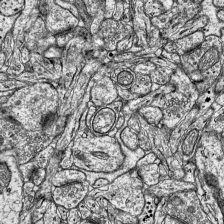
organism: Mouse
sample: Visual Cortex